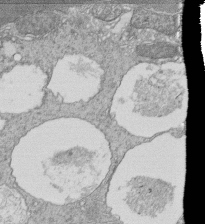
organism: Tetrahymena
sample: Cilia in tetrahymena